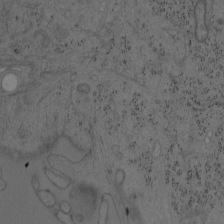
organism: Mouse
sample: OT-I killer T cells with ID8 ovarian cancer cells